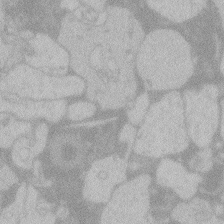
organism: Zebrafish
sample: Macrophage infected with Toxoplasma gondii